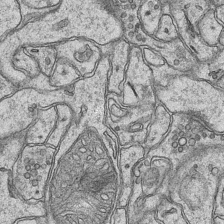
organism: Mouse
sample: CA1 Hippocampus